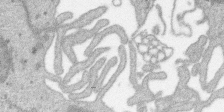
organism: Human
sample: Lung epithelial cells infected with SARS-CoV-2